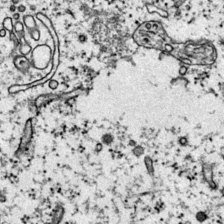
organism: Mouse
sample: Primary visual cortex